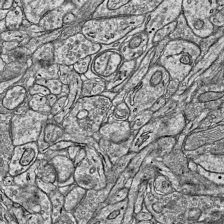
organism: Mouse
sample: Visual Cortex